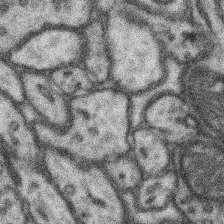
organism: Mouse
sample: Somatosensory cortex neuropil